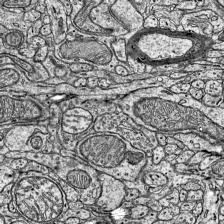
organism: Mouse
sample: Visual Cortex